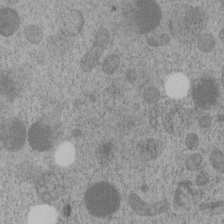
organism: C. elegans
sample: C. elegans embryo early stage